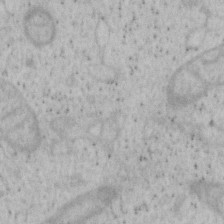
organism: Human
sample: HeLa cells